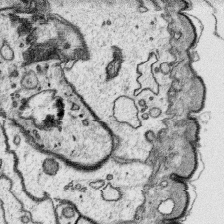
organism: Platynereis dumerilii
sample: Parapodia